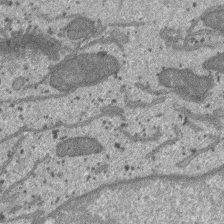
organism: Human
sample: Lung epithelial cells infected with SARS-CoV-2